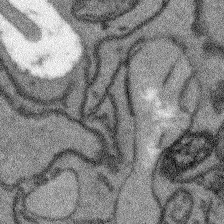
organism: Arabidopsis thaliana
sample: Root tip